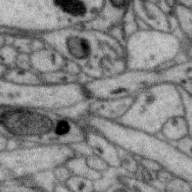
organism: Zebra finch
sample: Brain